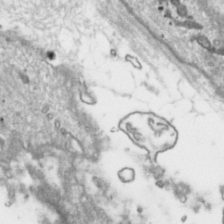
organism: Toxoplasma gondii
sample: Parasites in a vacuole inside a host cell